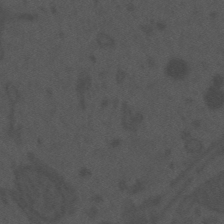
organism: Mouse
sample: Suprachiasmatic nucleus